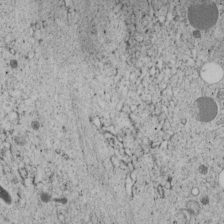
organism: C. elegans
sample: C. elegans embryo early stage